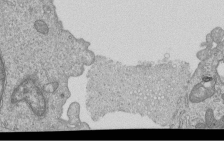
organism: Human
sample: MDA-MB-231 cells